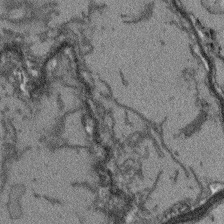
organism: Arabidopsis thaliana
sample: Root tip